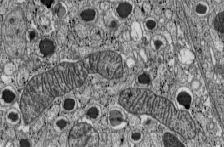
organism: C57BL Mouse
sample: Pancreatic islet